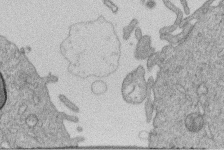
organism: Human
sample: Macrophage cells